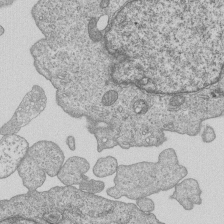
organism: Human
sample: MDA-MB-231 cells